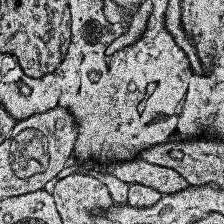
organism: Human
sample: Temporal Lobe